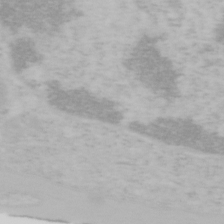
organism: Mouse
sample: OT-I killer T cells with ID8 ovarian cancer cells